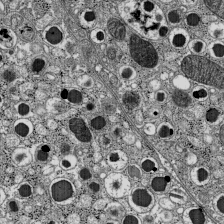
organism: C57BL Mouse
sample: Pancreatic islet